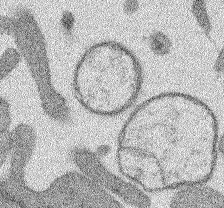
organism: Human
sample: HeLa cells